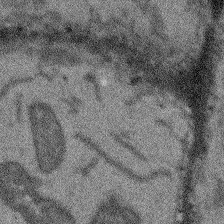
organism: Arabidopsis thaliana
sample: Root tip